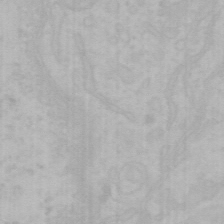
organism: Mouse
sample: Choroid plexus